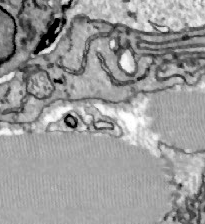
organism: Zebrafish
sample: Actinotrichia fibers